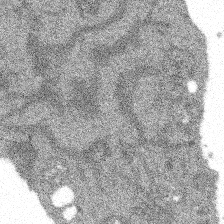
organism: Spongilla lacustris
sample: Multiple